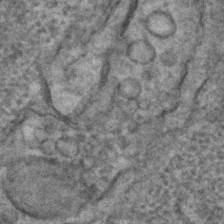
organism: C. elegans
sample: C. elegans embryo